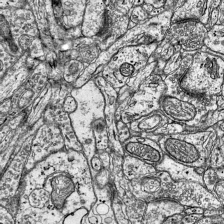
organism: Mouse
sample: Visual Cortex